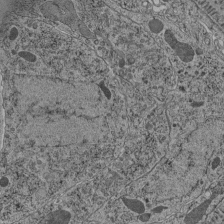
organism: C. elegans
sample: C. elegans pharynx